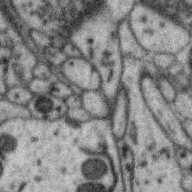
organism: Zebra finch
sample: Brain